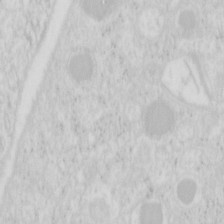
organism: Mouse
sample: Pancreas